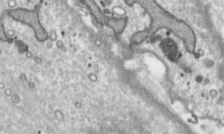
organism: Toxoplasma gondii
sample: Parasites in a vacuole inside a host cell